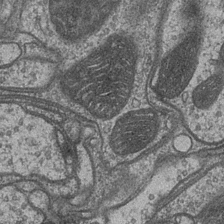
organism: Drosophila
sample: Optic medulla